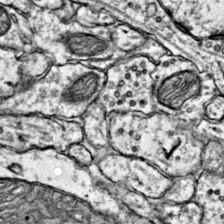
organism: Mouse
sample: Primary visual cortex